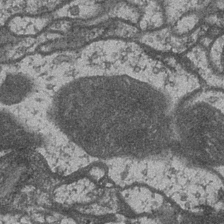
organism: Drosophila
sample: Optic medulla